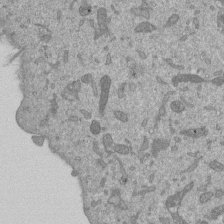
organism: Mouse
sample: ED-1 cell nuclei; centrioles